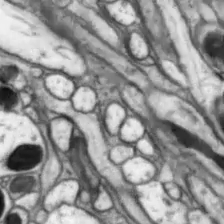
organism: Drosophila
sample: Optic lobe